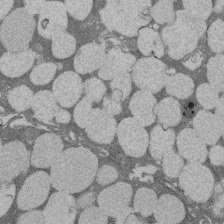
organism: Rat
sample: Salivary granule